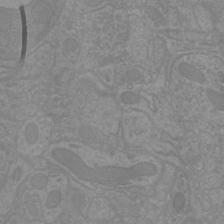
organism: Mouse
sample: Cortical neurons